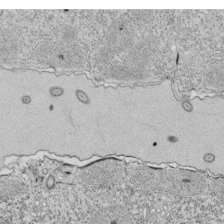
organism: Tetrahymena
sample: Cilia in tetrahymena